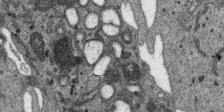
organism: Human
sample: Lung epithelial cells infected with SARS-CoV-2